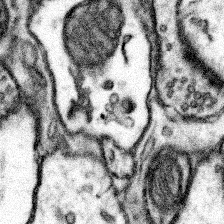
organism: Mouse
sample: Somatosensory cortex neuropil